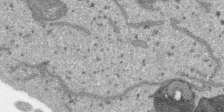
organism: Human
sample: Lung epithelial cells infected with SARS-CoV-2